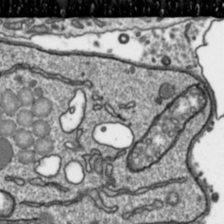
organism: Toxoplasma gondii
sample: Parasites in a vacuole inside a host cell